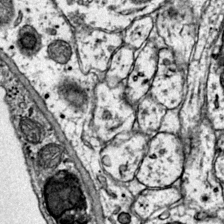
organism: Mouse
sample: Primary visual cortex